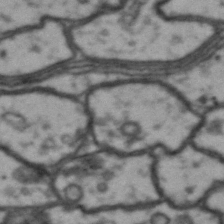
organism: Drosophila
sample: Brain